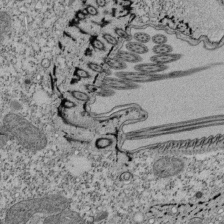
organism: Tetrahymena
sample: Cilia in tetrahymena